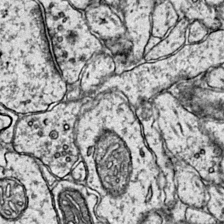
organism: Mouse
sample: Primary visual cortex